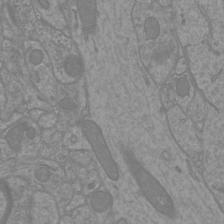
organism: Mouse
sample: Cortical neurons